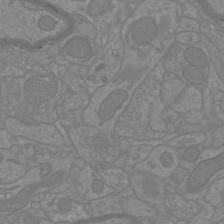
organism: Mouse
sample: Cortical neurons